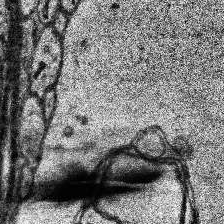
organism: Human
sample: Temporal Lobe